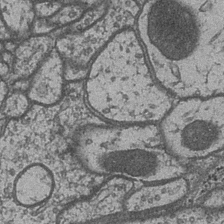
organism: Drosophila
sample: Optic medulla